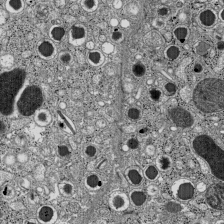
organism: C57BL Mouse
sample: Pancreatic islet